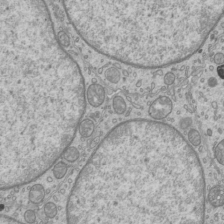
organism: Mouse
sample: Cilia; mouse epididymis